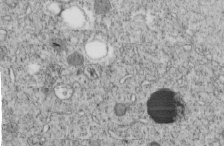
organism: C. elegans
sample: C. elegans embryo early stage